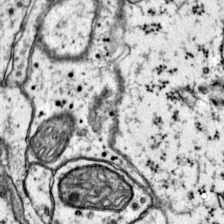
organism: Mouse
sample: Primary visual cortex